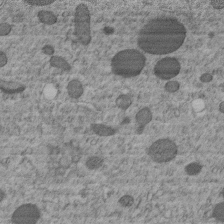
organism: C. elegans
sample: C. elegans embryo early stage